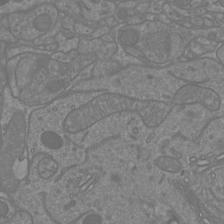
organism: Mouse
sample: Cortical neurons